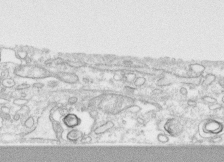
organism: Human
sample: CRL-1474